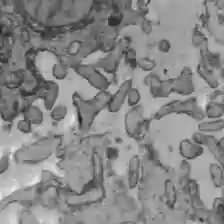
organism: C57BL Mouse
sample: Liver